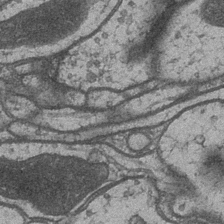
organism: Drosophila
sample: Optic medulla